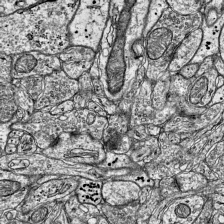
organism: Mouse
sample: Visual Cortex